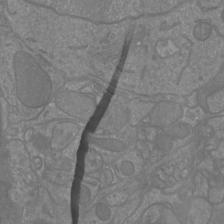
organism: Mouse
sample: Cortical neurons